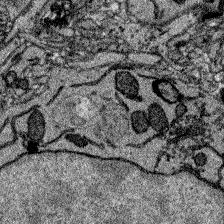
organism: Zebrafish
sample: Larval olfactory bulb